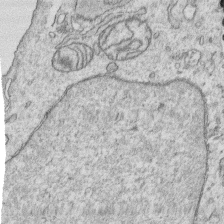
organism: Human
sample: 1205lu cells